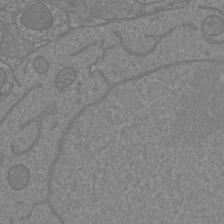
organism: Mouse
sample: Cortical neurons